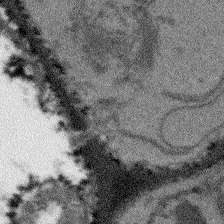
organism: Arabidopsis thaliana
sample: Root tip